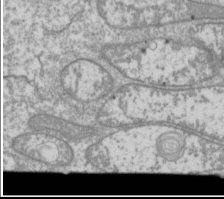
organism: Drosophila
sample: Cell division; meiosis; drosophila spermatocytes